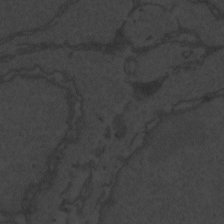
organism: Zebrafish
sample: Macrophage infected with Toxoplasma gondii